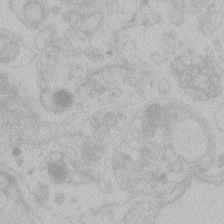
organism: Zebrafish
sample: Macrophage infected with Toxoplasma gondii